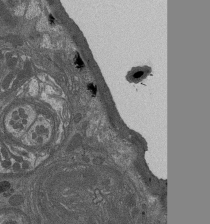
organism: Drosophila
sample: Antenna